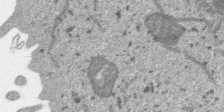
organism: Human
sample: Lung epithelial cells infected with SARS-CoV-2